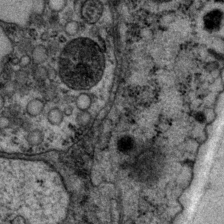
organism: P. pacificus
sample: Pharynx